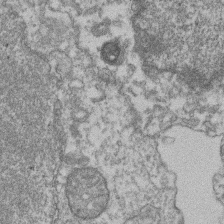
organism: Mouse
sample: T cell stromal cell synapse